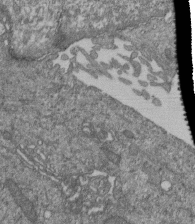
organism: Human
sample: Retinal organoid Rod and Cone cells